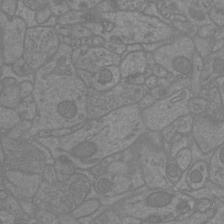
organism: Mouse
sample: Cortical neurons